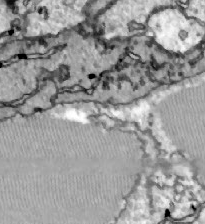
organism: Zebrafish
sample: Actinotrichia fibers